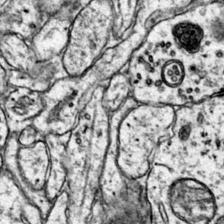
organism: Mouse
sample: Primary visual cortex